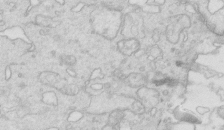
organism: Mouse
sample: Multiciliated cells